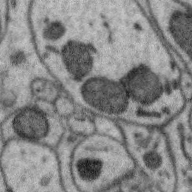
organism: Zebra finch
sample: Brain